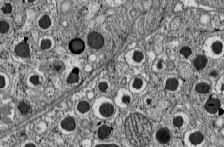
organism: C57BL Mouse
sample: Pancreatic islet